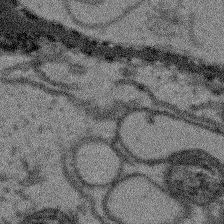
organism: Arabidopsis thaliana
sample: Root tip